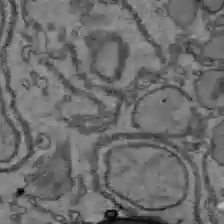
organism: C57BL Mouse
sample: Liver